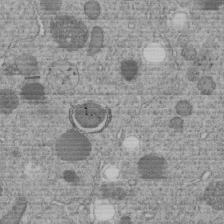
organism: C. elegans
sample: C. elegans embryo early stage